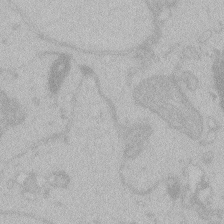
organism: Zebrafish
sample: Macrophage infected with Toxoplasma gondii